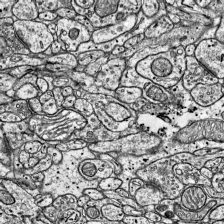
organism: Mouse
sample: Visual Cortex